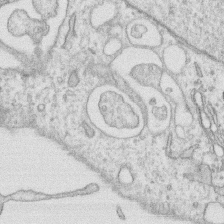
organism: Human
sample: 1205lu cells